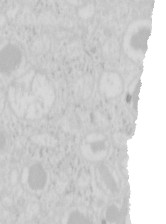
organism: Mouse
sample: Pancreas